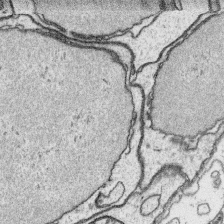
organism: Platynereis dumerilii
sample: Parapodia